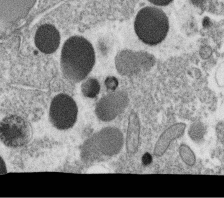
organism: C. elegans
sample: C. elegans oocyte; sperm cells